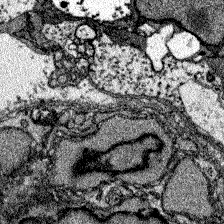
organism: Zebrafish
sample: Larval olfactory bulb